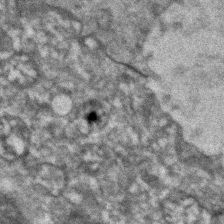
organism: Zebrafish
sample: Zebrafish embryo